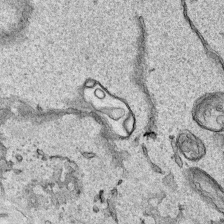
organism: Human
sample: Mitochondria in HCT116 cells